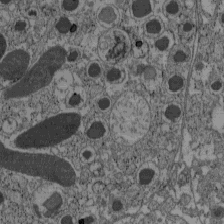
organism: C57BL Mouse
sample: Pancreatic islet